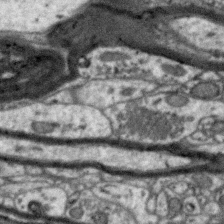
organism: Zebra finch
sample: Brain